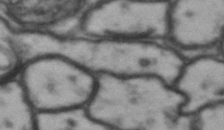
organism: Drosophila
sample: Brain